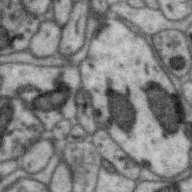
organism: Zebra finch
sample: Brain